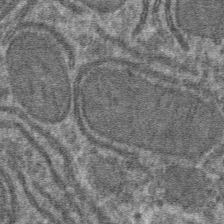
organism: Mouse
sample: Mouse hepatocytes